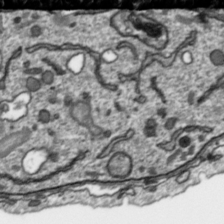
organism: Toxoplasma gondii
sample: Parasites in a vacuole inside a host cell